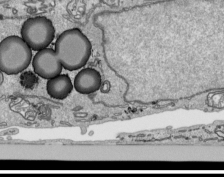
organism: Human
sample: Mitochondria in HCT116 cells